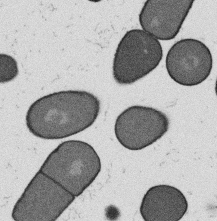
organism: B. subtilis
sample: Bacterial spore